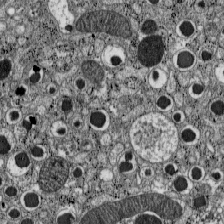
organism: C57BL Mouse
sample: Pancreatic islet